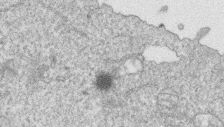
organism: Human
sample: HeLa cell HIV synapse